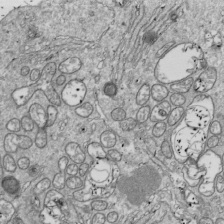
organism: Drosophila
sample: Cell division; meiosis; drosophila spermatocytes